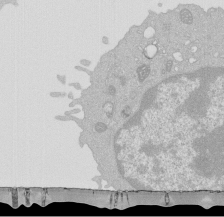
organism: Mouse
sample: Activated Pmel transgenic CD8+ T Cells